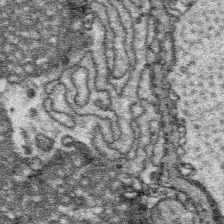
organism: Platynereis dumerilii